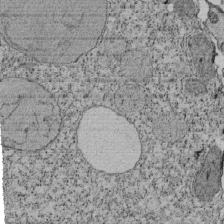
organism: Tetrahymena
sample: Cilia in tetrahymena